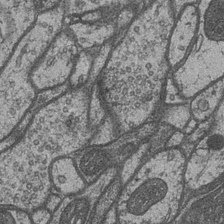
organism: Drosophila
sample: Optic medulla